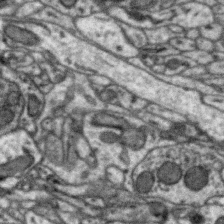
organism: Zebra finch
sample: Brain